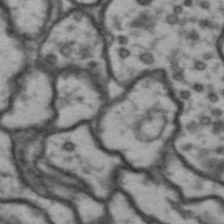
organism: Drosophila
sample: Brain